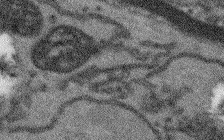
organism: Arabidopsis thaliana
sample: Root tip